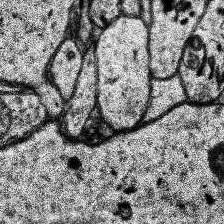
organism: Human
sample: Temporal Lobe